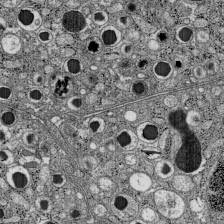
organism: C57BL Mouse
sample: Pancreatic islet